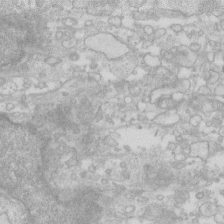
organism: Human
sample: Fibroblast cells